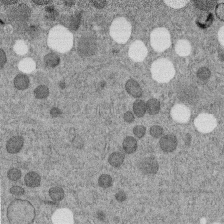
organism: C. elegans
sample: C. elegans embryo early stage